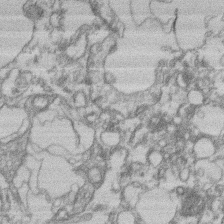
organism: Mouse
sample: T cell stromal cell synapse